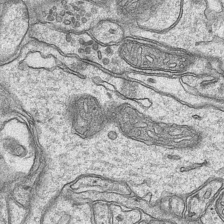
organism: Mouse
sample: CA1 Hippocampus